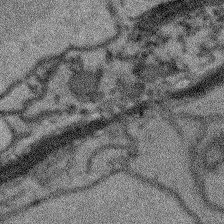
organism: Arabidopsis thaliana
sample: Root tip